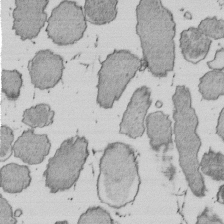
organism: E. coli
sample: Bacterial nucleoid